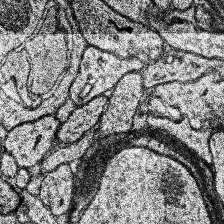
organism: Human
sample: Temporal Lobe